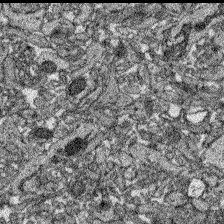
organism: Zebrafish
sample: Larval olfactory bulb